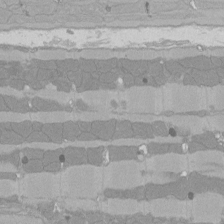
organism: Rat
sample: Left ventricle